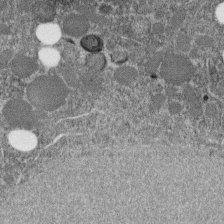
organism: C. elegans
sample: C. elegans embryo early stage